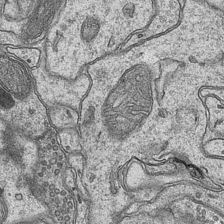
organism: Mouse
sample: CA1 Hippocampus